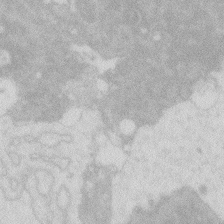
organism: Zebrafish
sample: Macrophage